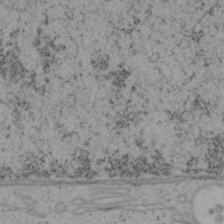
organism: Human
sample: HeLa cells